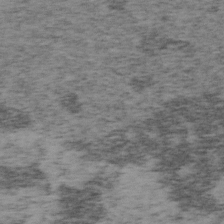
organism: Mouse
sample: OT-I killer T cells with ID8 ovarian cancer cells